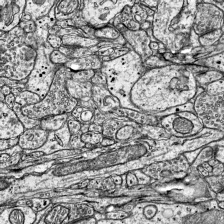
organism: Mouse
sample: Visual Cortex